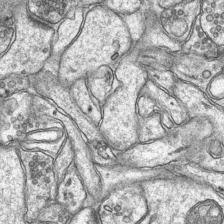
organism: Mouse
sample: CA1 Hippocampus